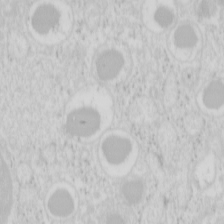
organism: Mouse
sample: Pancreas